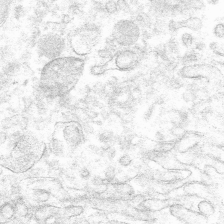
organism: Mouse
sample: Mouse hepatocytes